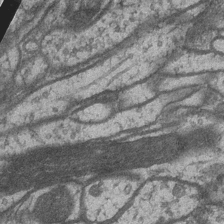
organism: Drosophila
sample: Optic medulla